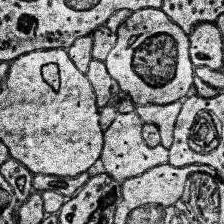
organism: Human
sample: Temporal Lobe